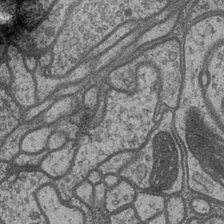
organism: Drosophila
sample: Optic medulla